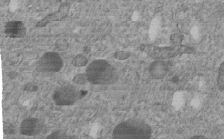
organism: C. elegans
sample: C. elegans embryo early stage